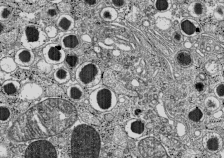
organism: C57BL Mouse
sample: Pancreatic islet